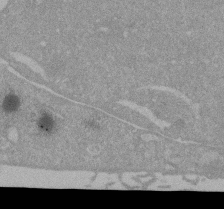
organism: Mouse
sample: ED-1 cell nuclei; centrioles